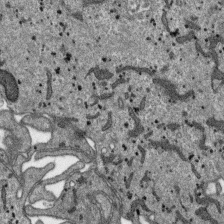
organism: Human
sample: Lung epithelial cells, uninfected (mock) control